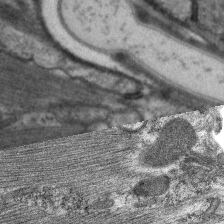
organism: C. elegans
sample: Pharynx